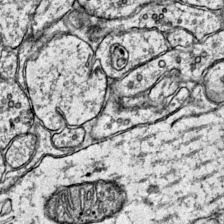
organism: Mouse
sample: Primary visual cortex